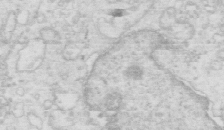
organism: Mouse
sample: Multiciliated cells